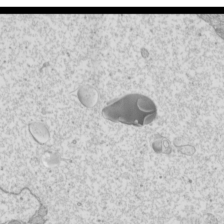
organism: Mouse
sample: Cilia; mouse epididymis